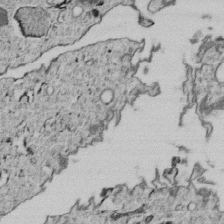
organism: C. elegans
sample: C. elegans embryo early stage